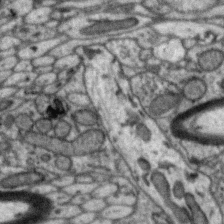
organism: Zebra finch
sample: Brain